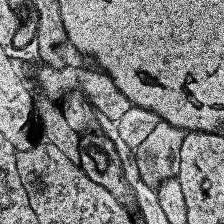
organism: Human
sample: Temporal Lobe